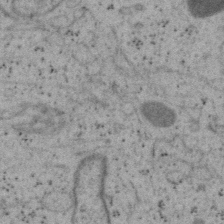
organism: Human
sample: HeLa cells